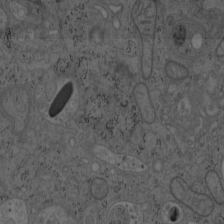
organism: Mouse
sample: OT-I killer T cells with ID8 ovarian cancer cells